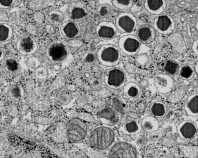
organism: C57BL Mouse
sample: Pancreatic islet